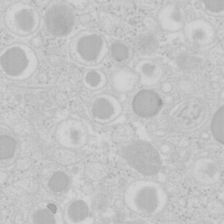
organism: Mouse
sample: Pancreas